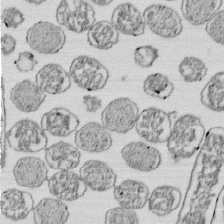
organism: E. coli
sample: Bacterial nucleoid